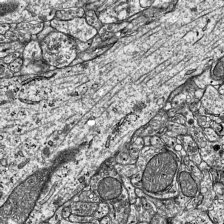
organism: Mouse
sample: Visual Cortex